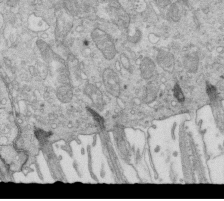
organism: Mouse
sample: Multiciliated cells